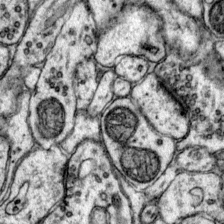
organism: Mouse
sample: Primary visual cortex